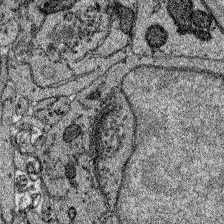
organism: Zebrafish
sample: Larval olfactory bulb